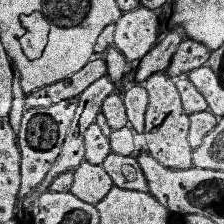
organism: Human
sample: Temporal Lobe